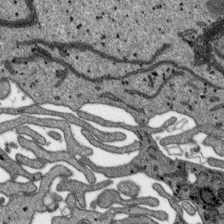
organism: Human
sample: Lung epithelial cells, uninfected (mock) control